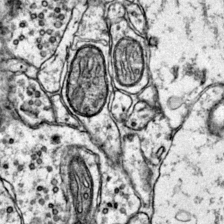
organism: Mouse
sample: Primary visual cortex